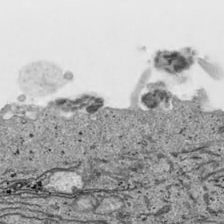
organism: Human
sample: HeLa cells